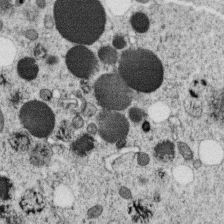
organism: C. elegans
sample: C. elegans oocyte; sperm cells